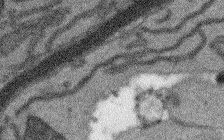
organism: Arabidopsis thaliana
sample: Root tip